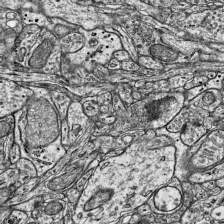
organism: Mouse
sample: Visual Cortex